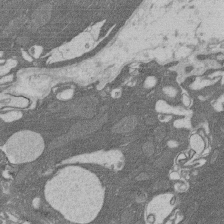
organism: Rat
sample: Salivary granule